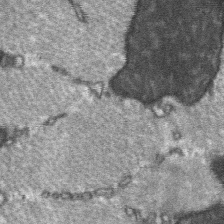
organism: C57BL Mouse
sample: Soleus